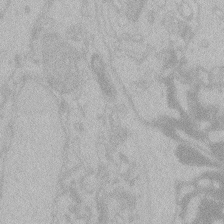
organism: Zebrafish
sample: Macrophage infected with Toxoplasma gondii